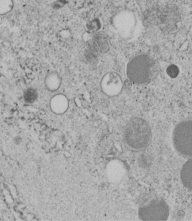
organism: C. elegans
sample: C. elegans embryo early stage